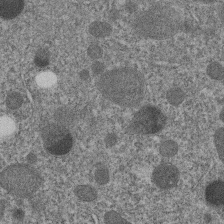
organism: C. elegans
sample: C. elegans embryo early stage